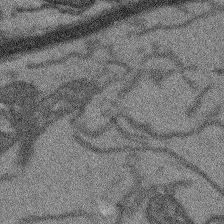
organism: Arabidopsis thaliana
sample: Root tip